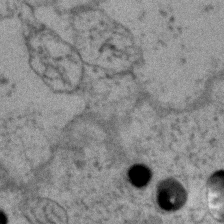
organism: Zebrafish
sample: Zebrafish embryo